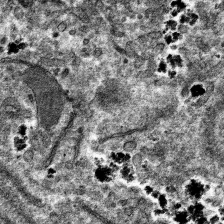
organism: Mouse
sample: Mouse hepatocytes